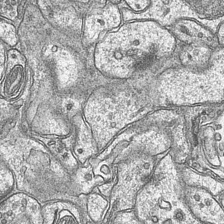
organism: Mouse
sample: CA1 Hippocampus